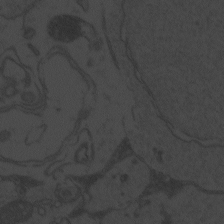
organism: Zebrafish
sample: Macrophage infected with Toxoplasma gondii